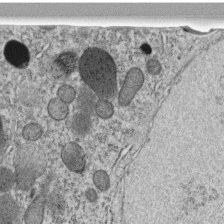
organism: C. elegans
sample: C. elegans embryo early stage